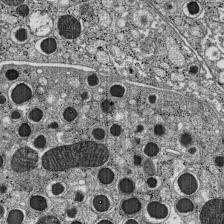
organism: C57BL Mouse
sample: Pancreatic islet